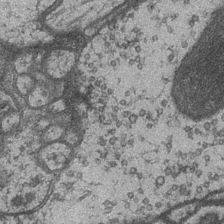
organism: Drosophila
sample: Optic medulla